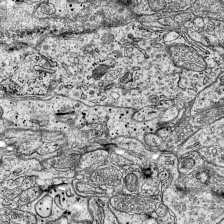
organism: Mouse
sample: Visual Cortex